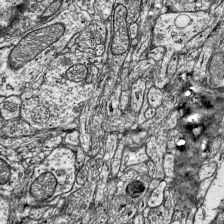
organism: Mouse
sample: Visual Cortex